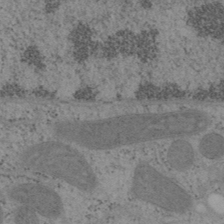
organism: Mouse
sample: OT-I killer T cells with ID8 ovarian cancer cells